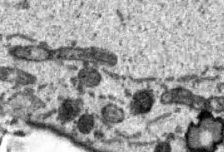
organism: Human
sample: HeLa cells